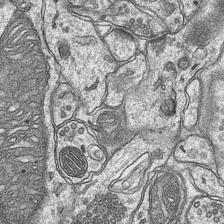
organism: Mouse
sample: CA1 Hippocampus